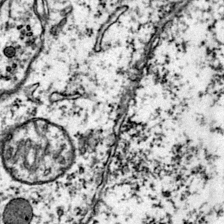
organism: Mouse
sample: Primary visual cortex